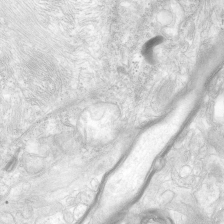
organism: Human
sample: Neocortex